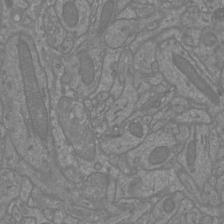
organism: Mouse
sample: Cortical neurons